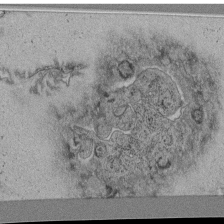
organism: C. elegans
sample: C. elegans pharynx